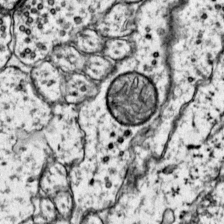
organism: Mouse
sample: Primary visual cortex